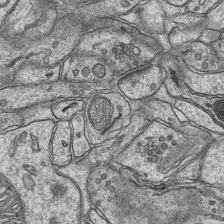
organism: Mouse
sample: CA1 Hippocampus